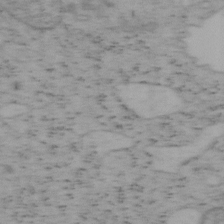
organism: Mouse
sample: OT-I killer T cells with ID8 ovarian cancer cells